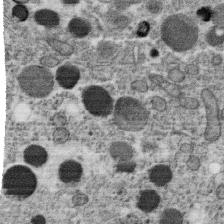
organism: C. elegans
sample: C. elegans oocyte; sperm cells